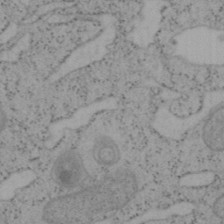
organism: Mouse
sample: OT-I killer T cells with ID8 ovarian cancer cells